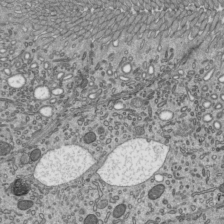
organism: Mouse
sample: Mouse epididymis efferent ductule cilia